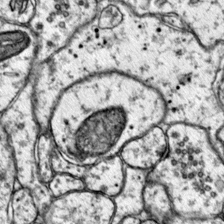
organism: Mouse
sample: Primary visual cortex